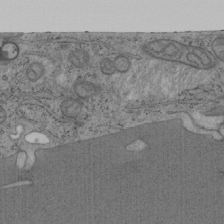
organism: Human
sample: HeLa cells